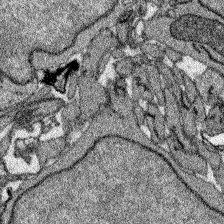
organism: Zebrafish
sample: Larval olfactory bulb